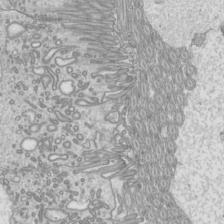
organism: Mouse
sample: Cilia; mouse epididymis